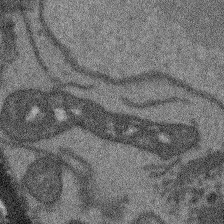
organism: Arabidopsis thaliana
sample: Root tip